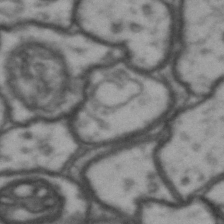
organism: Drosophila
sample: Brain